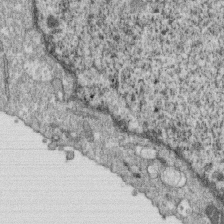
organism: African green monkey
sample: Vero E6 cells infected with SARS-CoV-2